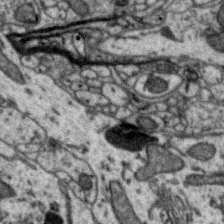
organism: Zebra finch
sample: Brain